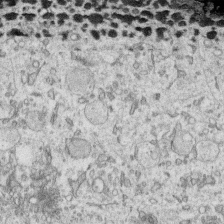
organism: Human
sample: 1205lu cells